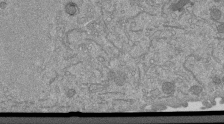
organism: Mouse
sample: ED-1 cell nuclei; centrioles